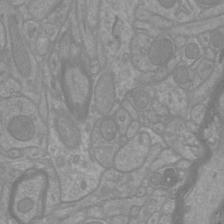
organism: Mouse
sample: Cortical neurons